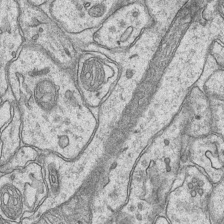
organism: Mouse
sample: CA1 Hippocampus